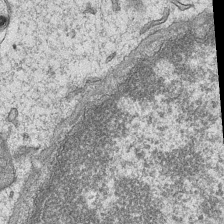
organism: Mouse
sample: CA1 Hippocampus